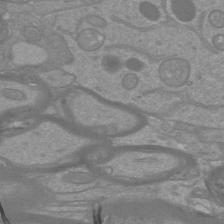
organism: Mouse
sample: Cortical neurons